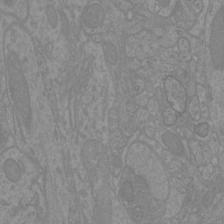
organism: Mouse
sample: Cortical neurons